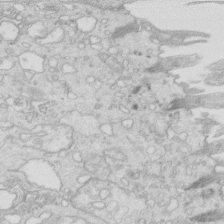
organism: Mouse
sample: Multiciliated cells